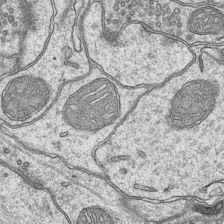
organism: Mouse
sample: CA1 Hippocampus